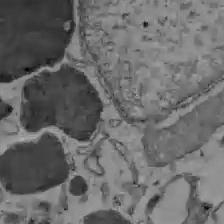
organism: C57BL Mouse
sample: Liver